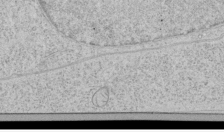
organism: Human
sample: Mitochondria in HCT116 cells